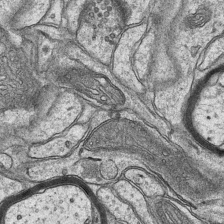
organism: Mouse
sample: CA1 Hippocampus